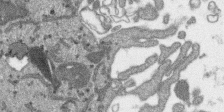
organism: Human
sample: Lung epithelial cells infected with SARS-CoV-2